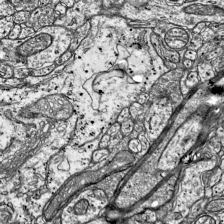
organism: Mouse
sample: Visual Cortex